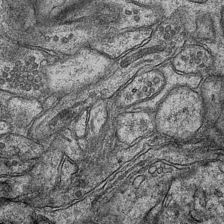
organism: Mouse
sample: CA1 Hippocampus